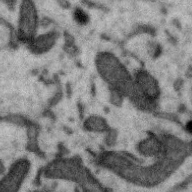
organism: Zebra finch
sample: Brain